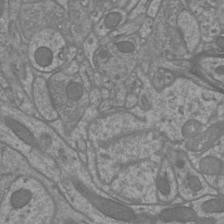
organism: Mouse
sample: Cortical neurons